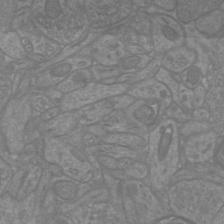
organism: Mouse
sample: Cortical neurons